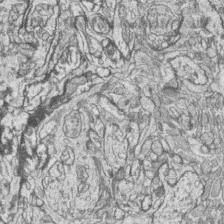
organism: Zebrafish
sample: synaptic ribbons in rod cells and cone cells